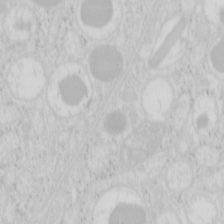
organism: Mouse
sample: Pancreas